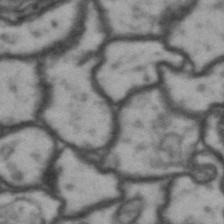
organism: Drosophila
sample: Brain